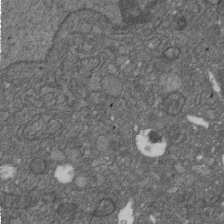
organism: Drosophila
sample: Nephrocyte